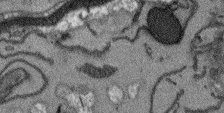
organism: Arabidopsis thaliana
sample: Root tip